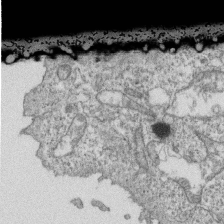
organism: Human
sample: HeLa cell HIV synapse